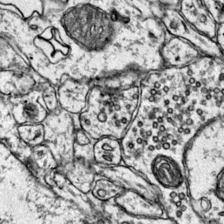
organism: Mouse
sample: Primary visual cortex